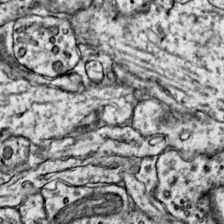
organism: Mouse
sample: Primary visual cortex